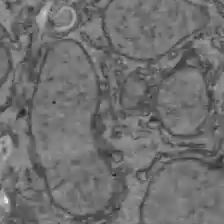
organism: C57BL Mouse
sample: Liver